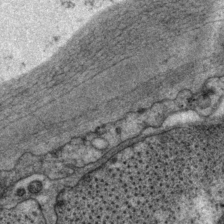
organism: P. pacificus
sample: Pharynx